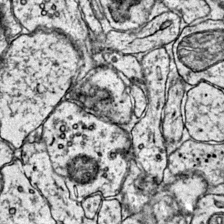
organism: Mouse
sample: Primary visual cortex